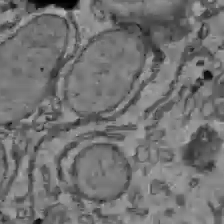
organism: C57BL Mouse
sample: Liver